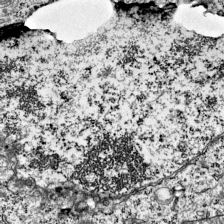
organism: Mouse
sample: Visual Cortex